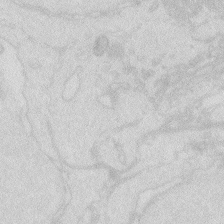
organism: Zebrafish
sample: Macrophage